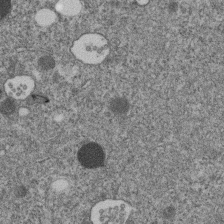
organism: C. elegans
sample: C. elegans embryo early stage